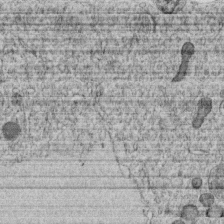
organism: C. elegans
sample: C. elegans embryo early stage